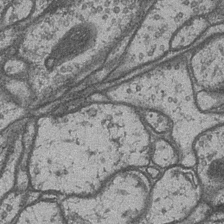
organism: Drosophila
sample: Optic medulla